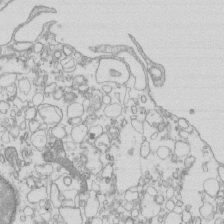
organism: Mouse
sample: Macrophages